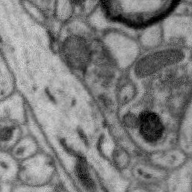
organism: Zebra finch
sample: Brain